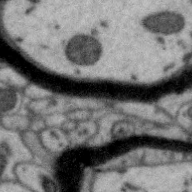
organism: Zebra finch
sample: Brain